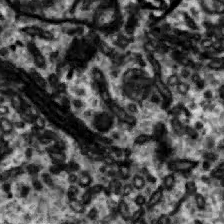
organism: Human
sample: HeLa cells